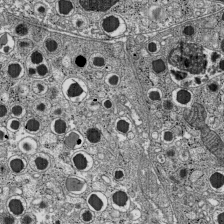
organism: C57BL Mouse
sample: Pancreatic islet